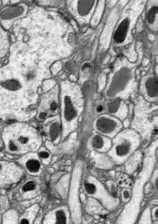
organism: Drosophila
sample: Optic lobe